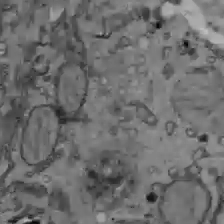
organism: C57BL Mouse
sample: Liver